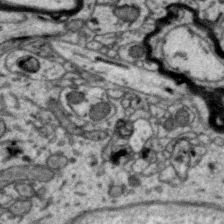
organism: Zebra finch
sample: Brain